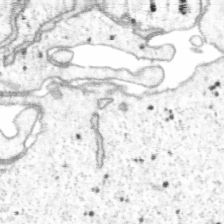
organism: Human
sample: HeLa cells